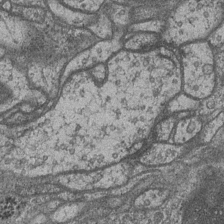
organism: Drosophila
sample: Optic medulla